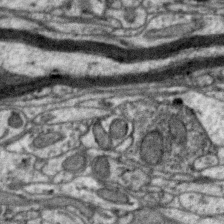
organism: Zebra finch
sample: Brain